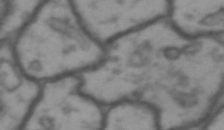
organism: Drosophila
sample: Brain